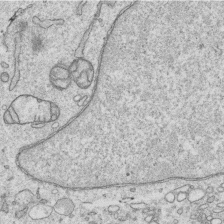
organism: Human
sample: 1205lu cells